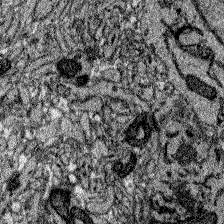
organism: Zebrafish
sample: Larval olfactory bulb